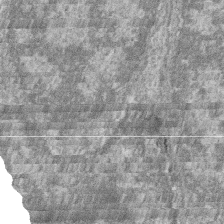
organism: Zebrafish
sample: Cilia; retinal pigment epithelium